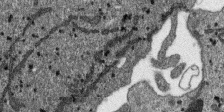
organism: Human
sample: Lung epithelial cells infected with SARS-CoV-2